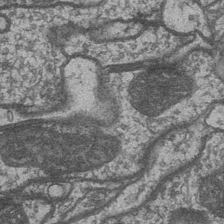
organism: Drosophila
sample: Optic medulla